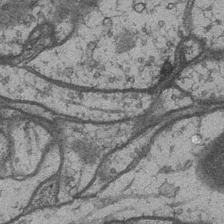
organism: Drosophila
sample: Optic medulla